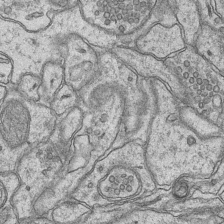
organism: Mouse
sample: CA1 Hippocampus